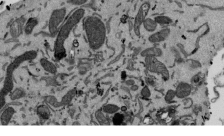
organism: Mouse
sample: ED-1 cell nuclei; centrioles